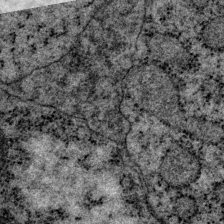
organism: P. pacificus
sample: Pharynx